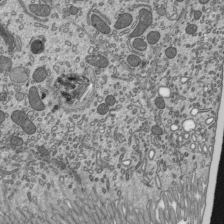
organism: Mouse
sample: Mouse epididymis efferent ductule cilia